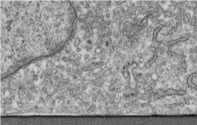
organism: Human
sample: Centriole in fibroblast cells